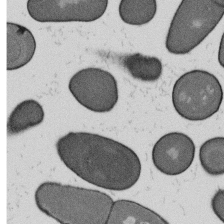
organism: B. subtilis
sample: Bacterial spore